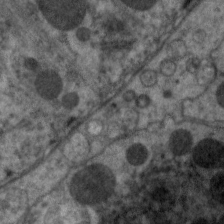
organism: C. elegans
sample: Pharynx